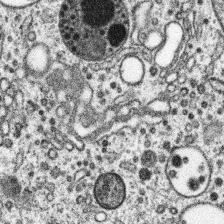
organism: Human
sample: HeLa cells